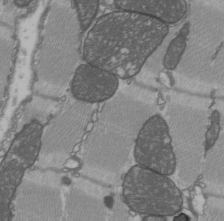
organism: C57BL Mouse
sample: Heart